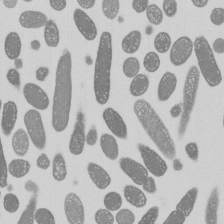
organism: E. coli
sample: Bacterial nucleoid